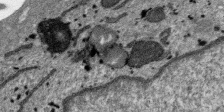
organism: Human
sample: Lung epithelial cells, uninfected (mock) control